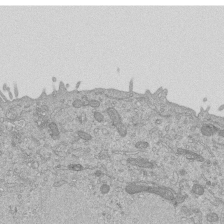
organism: Mouse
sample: ED-1 cell nuclei; centrioles